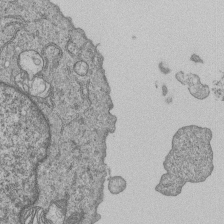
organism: Human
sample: MDA-MB-231 cells